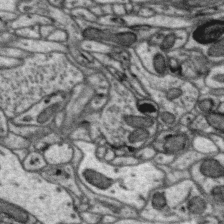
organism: Zebra finch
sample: Brain